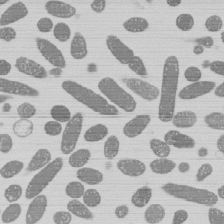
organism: E. coli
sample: Bacterial nucleoid